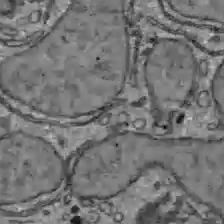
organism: C57BL Mouse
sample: Liver